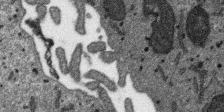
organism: Human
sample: Lung epithelial cells infected with SARS-CoV-2